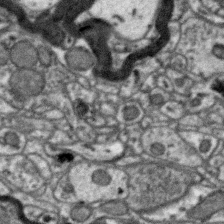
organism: Zebra finch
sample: Brain